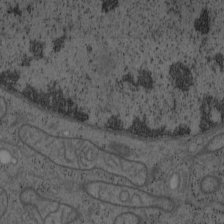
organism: Mouse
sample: OT-I killer T cells with ID8 ovarian cancer cells